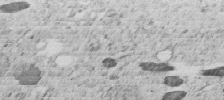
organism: C. elegans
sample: C. elegans embryo early stage